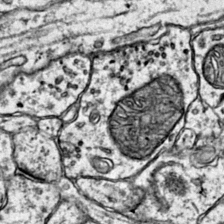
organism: Mouse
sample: Primary visual cortex